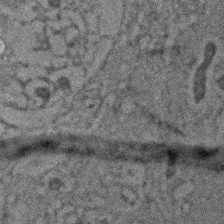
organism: Zebrafish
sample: Zebrafish embryo